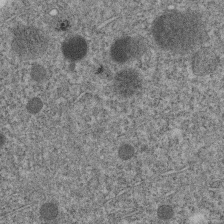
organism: C. elegans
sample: C. elegans embryo early stage